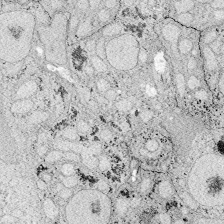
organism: Zebrafish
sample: Whole-Brain